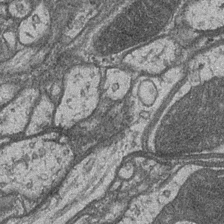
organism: Drosophila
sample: Optic medulla